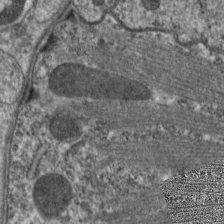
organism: C. elegans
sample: Pharynx